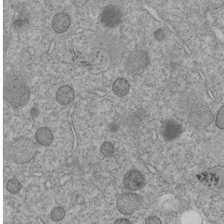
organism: C. elegans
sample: C. elegans embryo early stage